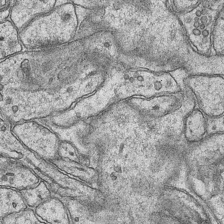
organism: Mouse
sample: CA1 Hippocampus